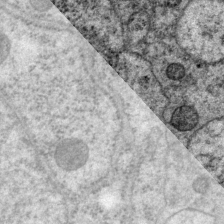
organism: P. pacificus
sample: Pharynx